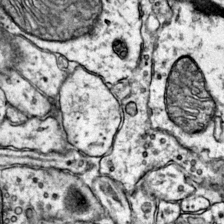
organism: Mouse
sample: Primary visual cortex